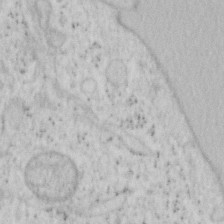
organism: Human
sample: HeLa cells